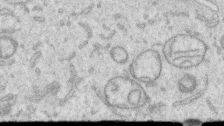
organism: Human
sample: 1205lu cells